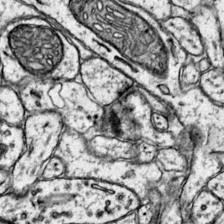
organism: Mouse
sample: Primary visual cortex